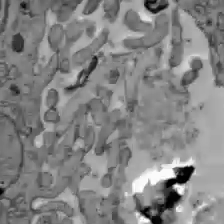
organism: C57BL Mouse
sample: Liver